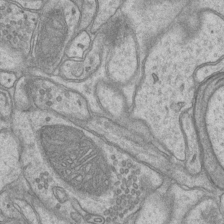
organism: Mouse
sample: CA1 Hippocampus